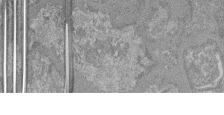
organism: Mouse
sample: Glomerulus